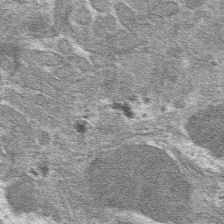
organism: Mouse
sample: Mouse hepatocytes